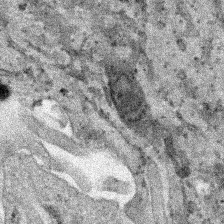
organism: Human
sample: Mitochondria in HCT116 cells